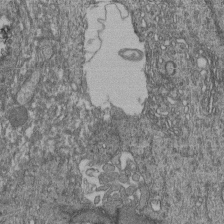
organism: Human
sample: Retinal organoid Rod and Cone cells